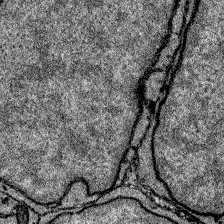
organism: Zebrafish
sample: Larval olfactory bulb